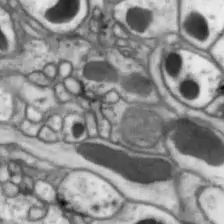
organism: Drosophila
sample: Optic lobe